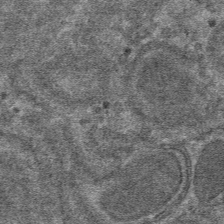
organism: Mouse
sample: Mouse hepatocytes